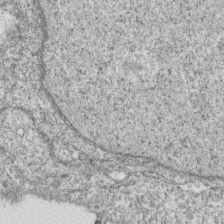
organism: Human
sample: HeLa cell HIV synapse